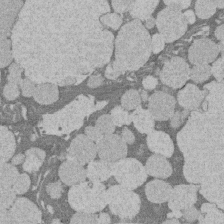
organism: Rat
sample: Salivary granule